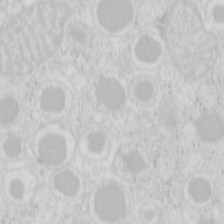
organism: Mouse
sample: Pancreas